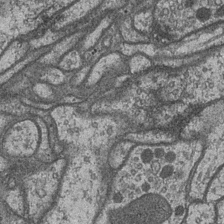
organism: Drosophila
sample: Optic medulla